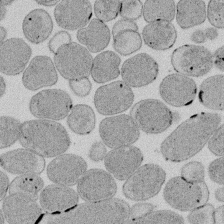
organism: E. coli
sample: Bacterial nucleoid